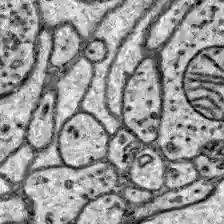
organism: Zebrafish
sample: Brain